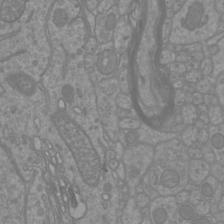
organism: Mouse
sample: Cortical neurons